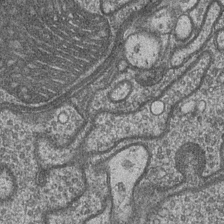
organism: Drosophila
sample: Optic medulla